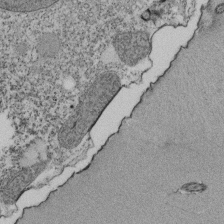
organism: Tetrahymena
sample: Cilia in tetrahymena